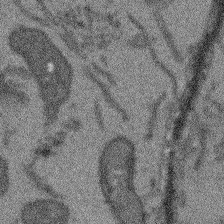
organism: Arabidopsis thaliana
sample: Root tip